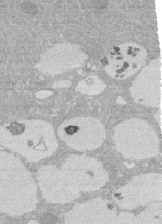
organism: Rat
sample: Salivary granule